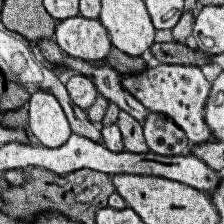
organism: Human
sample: Temporal Lobe